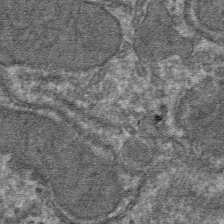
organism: Mouse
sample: Mouse hepatocytes